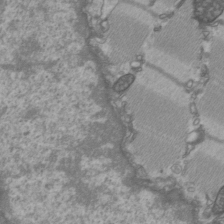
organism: C57BL Mouse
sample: Heart